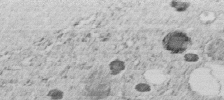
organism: C. elegans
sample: C. elegans embryo early stage